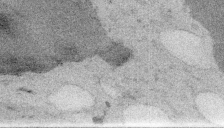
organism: Embia sp.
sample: Silk gland